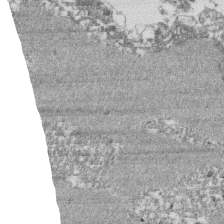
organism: Human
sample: HeLa cell HIV synapse